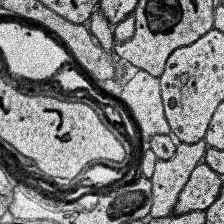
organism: Human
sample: Temporal Lobe